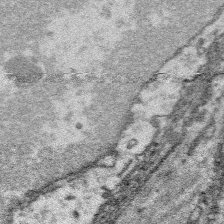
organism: Platynereis dumerilii